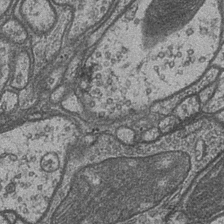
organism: Drosophila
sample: Optic medulla